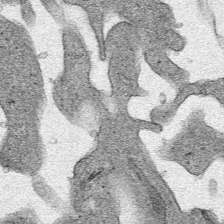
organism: Human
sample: Mitochondria in HCT116 cells